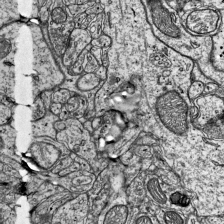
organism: Mouse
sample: Visual Cortex